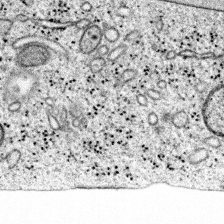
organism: Human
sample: HeLa cells